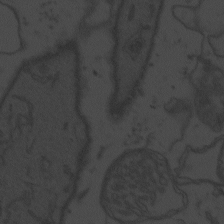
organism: Zebrafish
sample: Macrophage infected with Toxoplasma gondii